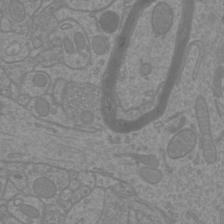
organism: Mouse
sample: Cortical neurons